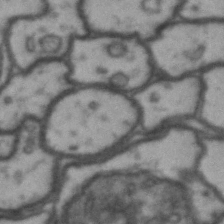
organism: Drosophila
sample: Brain